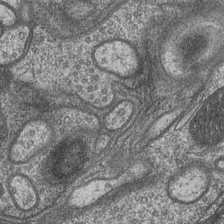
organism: Drosophila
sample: Optic medulla